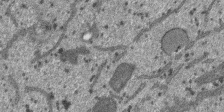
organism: Human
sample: Lung epithelial cells infected with SARS-CoV-2